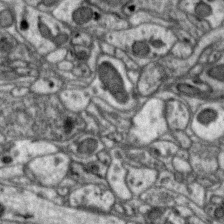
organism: Zebra finch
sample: Brain